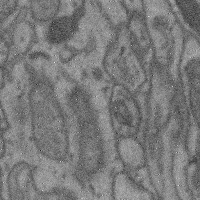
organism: Mouse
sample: Cerebral cortex